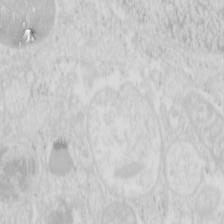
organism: Mouse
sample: Pancreas